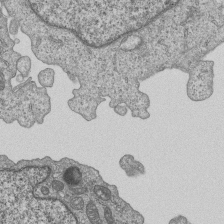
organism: Human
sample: MDA-MB-231 cells